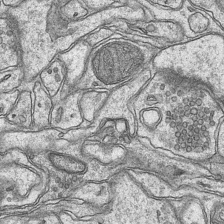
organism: Mouse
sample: CA1 Hippocampus